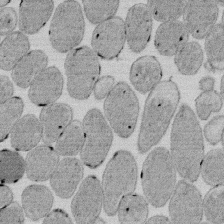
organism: E. coli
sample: Bacterial nucleoid